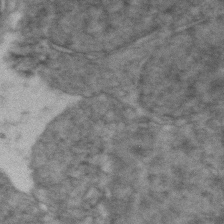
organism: Zebrafish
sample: Zebrafish embryo